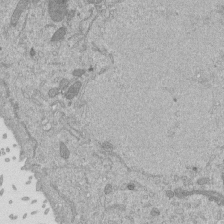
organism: Mouse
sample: ED-1 cell nuclei; centrioles